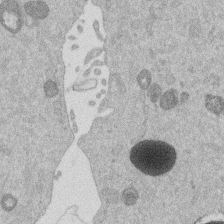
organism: Mouse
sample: Dividing mouse embryo 1 cell stage